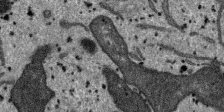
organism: Human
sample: Lung epithelial cells, uninfected (mock) control